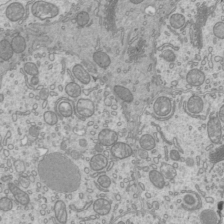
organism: Mouse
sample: Cilia; mouse epididymis